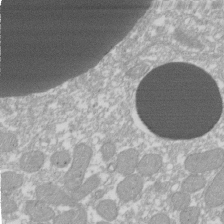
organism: Xenopus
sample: Cilia; centrioles in frog embryo cells